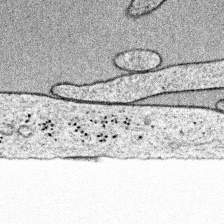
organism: Human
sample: HeLa cells